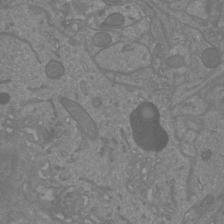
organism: Mouse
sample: Cortical neurons